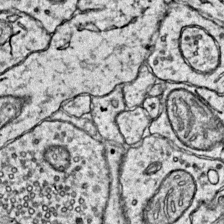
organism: Mouse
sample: Primary visual cortex